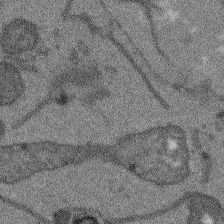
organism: Arabidopsis thaliana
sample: Root tip